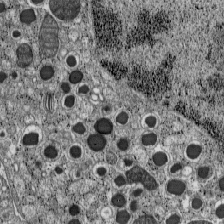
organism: C57BL Mouse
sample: Pancreatic islet